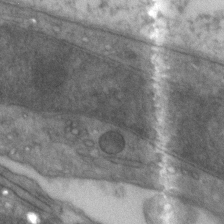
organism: Zebrafish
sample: Zebrafish embryo